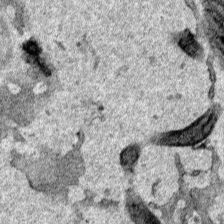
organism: Human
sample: Mitochondria in HCT116 cells